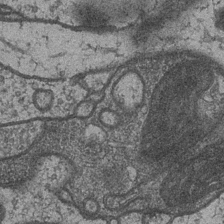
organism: Drosophila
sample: Optic medulla